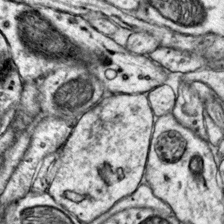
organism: Mouse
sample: Primary visual cortex